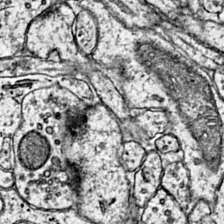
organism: Mouse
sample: Primary visual cortex